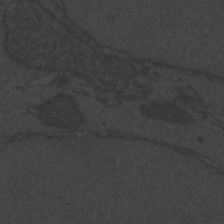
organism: Zebrafish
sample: Macrophage infected with Toxoplasma gondii